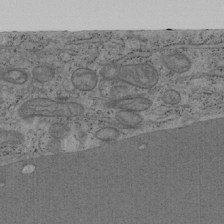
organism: Human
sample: HeLa cells